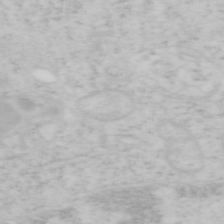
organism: Mouse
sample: OT-I killer T cells with ID8 ovarian cancer cells